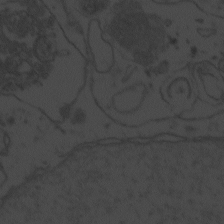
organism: Zebrafish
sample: Macrophage infected with Toxoplasma gondii